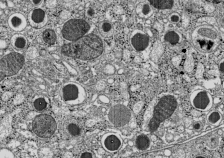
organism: C57BL Mouse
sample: Pancreatic islet